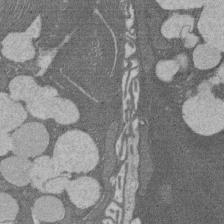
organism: Rat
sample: Salivary granule